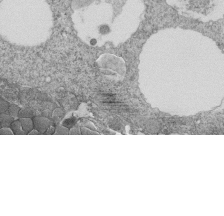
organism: Tetrahymena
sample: Cilia in tetrahymena